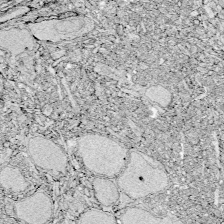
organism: Zebrafish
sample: Whole-Brain